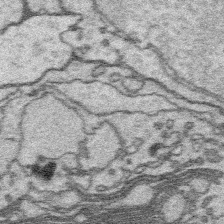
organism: Platynereis dumerilii